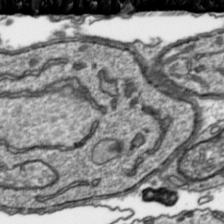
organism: Toxoplasma gondii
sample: Parasites in a vacuole inside a host cell